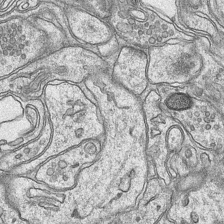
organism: Mouse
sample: CA1 Hippocampus